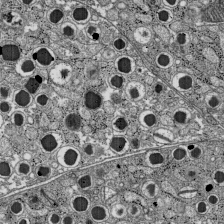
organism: C57BL Mouse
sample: Pancreatic islet